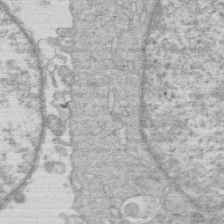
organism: Human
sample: Macrophage cells